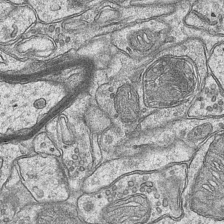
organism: Mouse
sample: CA1 Hippocampus